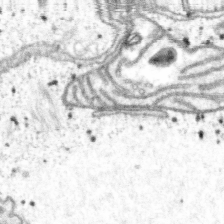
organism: Human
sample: HeLa cells